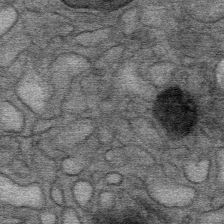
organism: Mouse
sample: Mouse Salivary gland